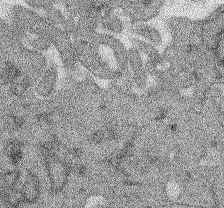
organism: Human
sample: HeLa cells